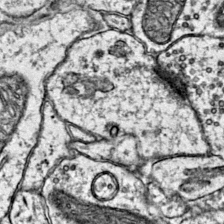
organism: Mouse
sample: Primary visual cortex